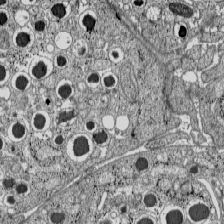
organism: C57BL Mouse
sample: Pancreatic islet